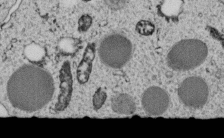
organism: C. elegans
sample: C. elegans embryo early stage